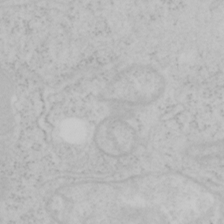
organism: Mouse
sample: OT-I killer T cells with ID8 ovarian cancer cells